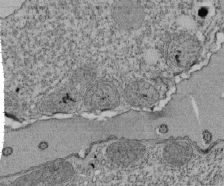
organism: Tetrahymena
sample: Cilia in tetrahymena